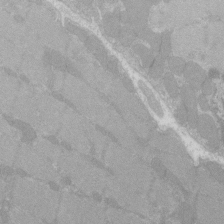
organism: C57BL Mouse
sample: Tibialis anterior muscle cell